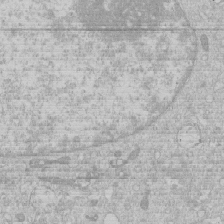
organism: Human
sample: Macrophage cells